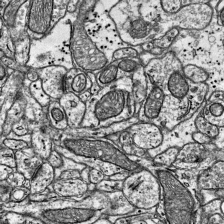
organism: Mouse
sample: Visual Cortex